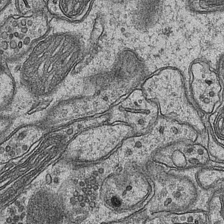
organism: Mouse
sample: CA1 Hippocampus